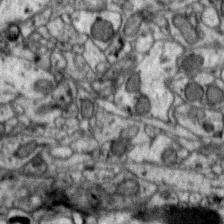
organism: Zebra finch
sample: Brain